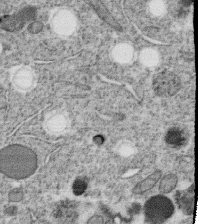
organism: C. elegans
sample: C. elegans oocyte; sperm cells